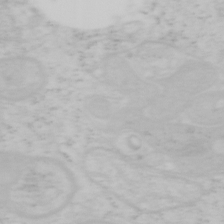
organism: Mouse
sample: OT-I killer T cells with ID8 ovarian cancer cells